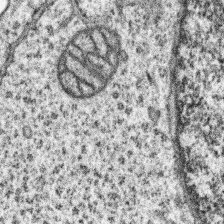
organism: Human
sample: HeLa cells